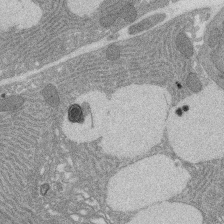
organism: Rat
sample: Salivary granule